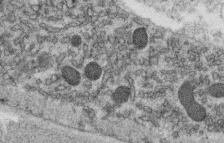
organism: C. elegans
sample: C. elegans oocyte; sperm cells